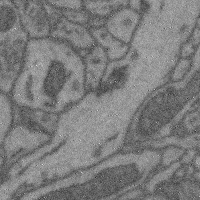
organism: Mouse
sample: Cerebral cortex